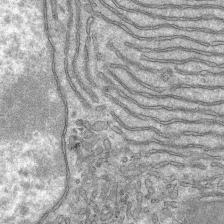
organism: Mouse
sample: Mouse hepatocytes